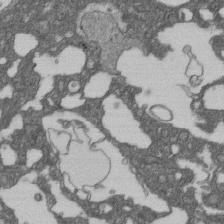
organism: Drosophila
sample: Nephrocyte